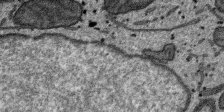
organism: Human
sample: Lung epithelial cells, uninfected (mock) control